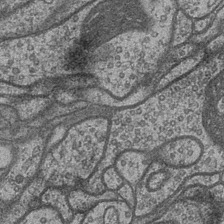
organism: Drosophila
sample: Optic medulla